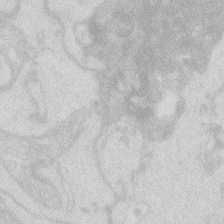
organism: Zebrafish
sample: Macrophage